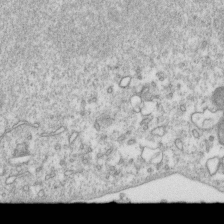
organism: Mouse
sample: Activated OT-1 CD8+ T cells